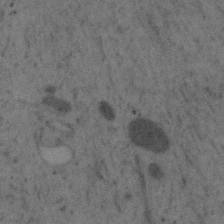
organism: Human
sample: HeLa cells